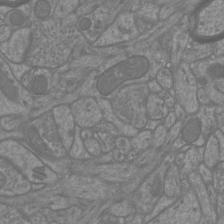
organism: Mouse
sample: Cortical neurons